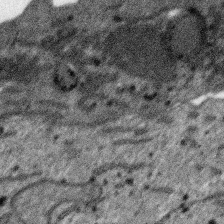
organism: Human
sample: Lung epithelial cells infected with SARS-CoV-2